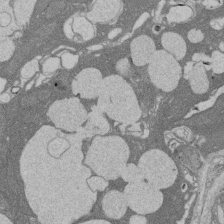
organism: Rat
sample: Salivary granule